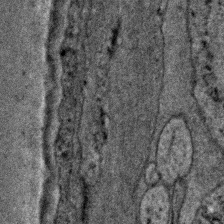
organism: C. elegans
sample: C. elegans embryo